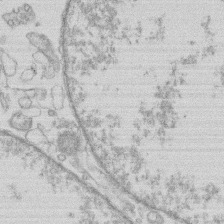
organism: Human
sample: Macrophage cells